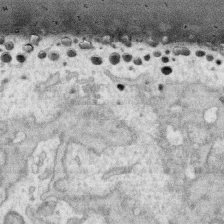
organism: Human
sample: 1205lu cells